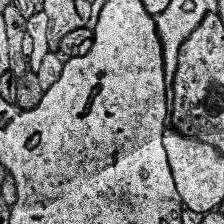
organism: Human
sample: Temporal Lobe